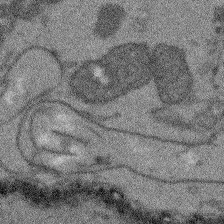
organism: Arabidopsis thaliana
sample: Root tip